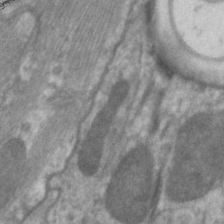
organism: C. elegans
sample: Pharynx